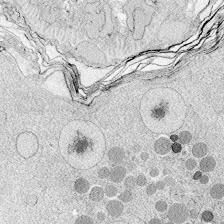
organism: Zebrafish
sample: Whole-Brain